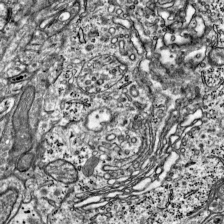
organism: Mouse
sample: Visual Cortex